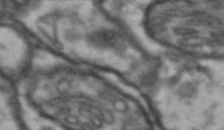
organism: Drosophila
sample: Brain